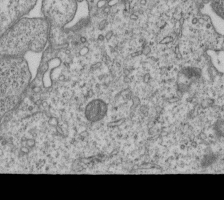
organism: Human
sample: MDA-MB-231 cells